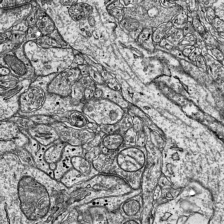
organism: Mouse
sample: Visual Cortex